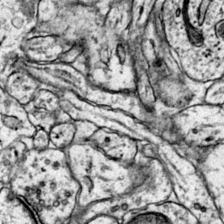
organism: Mouse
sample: Primary visual cortex